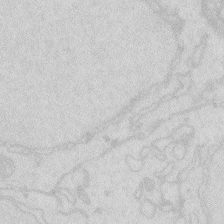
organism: Zebrafish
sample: Macrophage